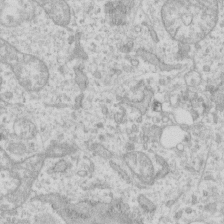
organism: Human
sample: Fibroblast cells